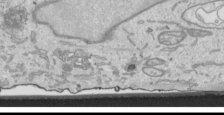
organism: Human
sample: Mitochondria in HCT116 cells